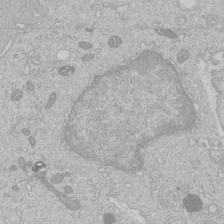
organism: Human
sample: Macrophage cells